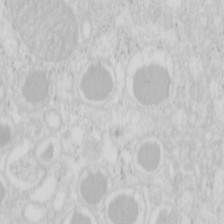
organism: Mouse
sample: Pancreas